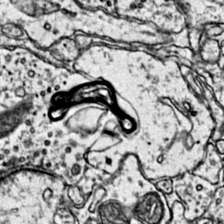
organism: Mouse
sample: Primary visual cortex